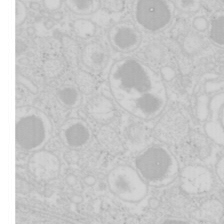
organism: Mouse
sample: Pancreas